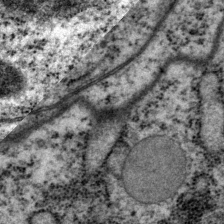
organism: P. pacificus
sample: Pharynx